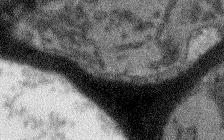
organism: Arabidopsis thaliana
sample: Root tip